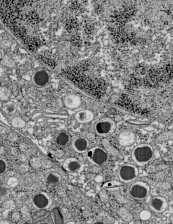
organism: C57BL Mouse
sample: Pancreatic islet